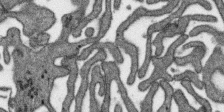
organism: Human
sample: Lung epithelial cells, uninfected (mock) control